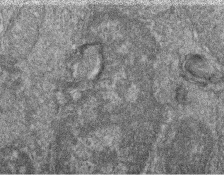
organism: Zebrafish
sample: Cilia; retinal pigment epithelium